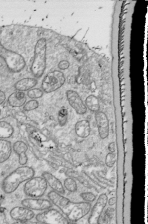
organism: Drosophila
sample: Cell division; meiosis; drosophila spermatocytes